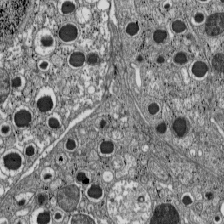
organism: C57BL Mouse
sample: Pancreatic islet